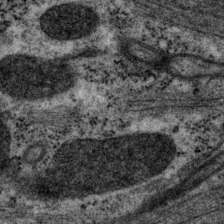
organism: P. pacificus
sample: Pharynx